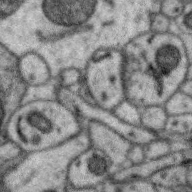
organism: Zebra finch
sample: Brain